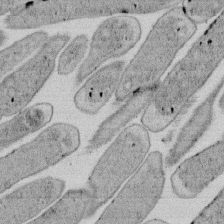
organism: E. coli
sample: Bacterial nucleoid